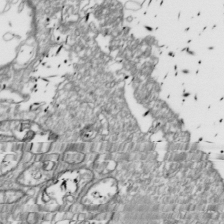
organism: Drosophila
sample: Cell division; meiosis; drosophila spermatocytes